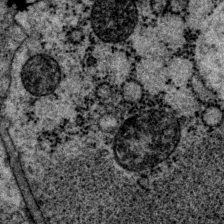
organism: P. pacificus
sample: Pharynx